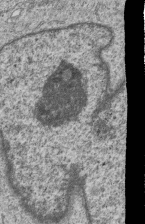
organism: Human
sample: MDA-MB-231 cells